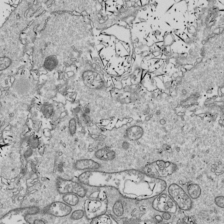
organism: Drosophila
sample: Cell division; meiosis; drosophila spermatocytes